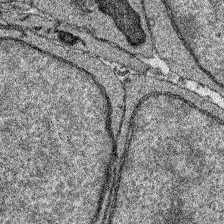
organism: Zebrafish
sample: Larval olfactory bulb